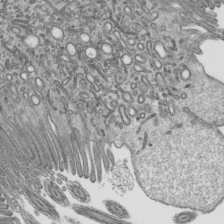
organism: Mouse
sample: Mouse epididymis efferent ductule cilia